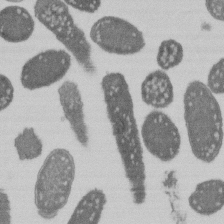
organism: E. coli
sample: Bacterial nucleoid